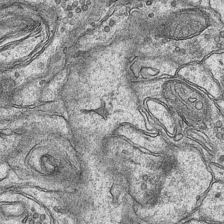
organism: Mouse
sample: CA1 Hippocampus